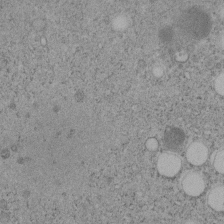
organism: C. elegans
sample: C. elegans embryo early stage